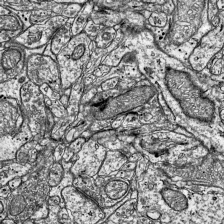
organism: Mouse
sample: Visual Cortex